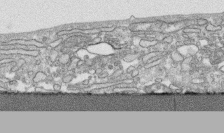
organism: Human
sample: CRL-1474